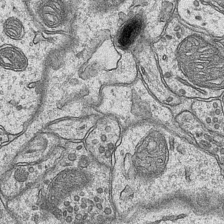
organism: Mouse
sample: CA1 Hippocampus